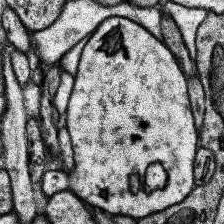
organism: Human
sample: Temporal Lobe